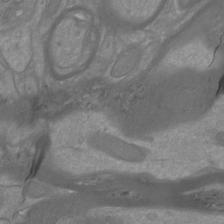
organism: Mouse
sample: Cortical neurons